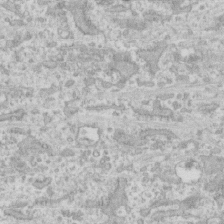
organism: Human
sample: CRL-1474